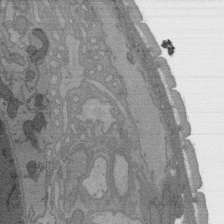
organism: C. elegans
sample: AFD neurons C. elegans